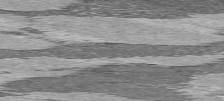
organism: C57BL Mouse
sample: Heart